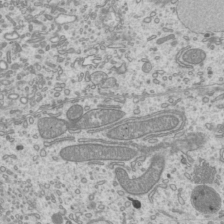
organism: Mouse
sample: Cilia; mouse epididymis